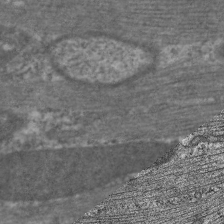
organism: C. elegans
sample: Pharynx